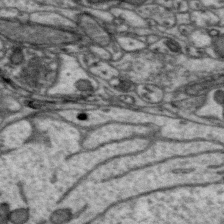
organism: Zebra finch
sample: Brain